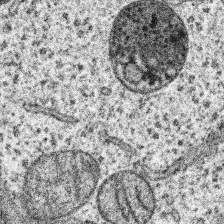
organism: Human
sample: HeLa cells